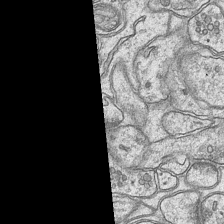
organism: Mouse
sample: CA1 Hippocampus